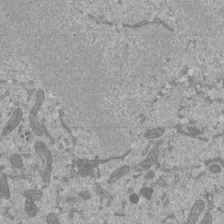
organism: Mouse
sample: ED-1 cell nuclei; centrioles